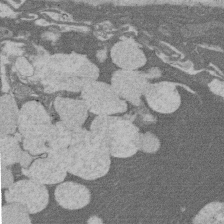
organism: Rat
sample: Salivary granule